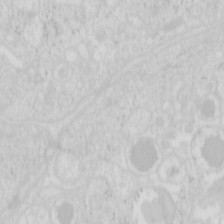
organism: Mouse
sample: Pancreas